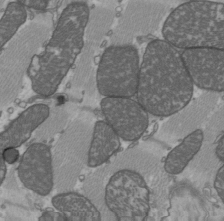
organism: C57BL Mouse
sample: Heart